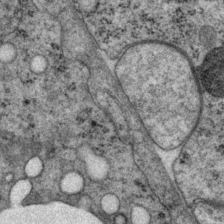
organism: P. pacificus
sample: Pharynx